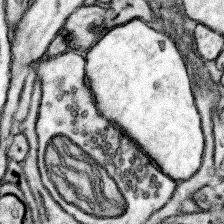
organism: Mouse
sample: Somatosensory cortex neuropil